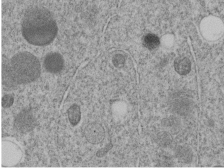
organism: C. elegans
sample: C. elegans embryo early stage